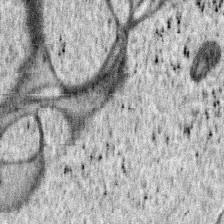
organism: Human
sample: HeLa cells